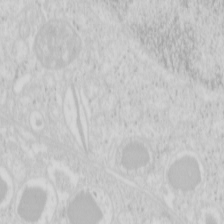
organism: Mouse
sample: Pancreas